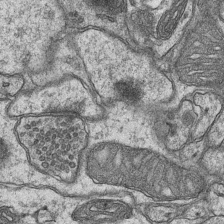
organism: Mouse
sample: CA1 Hippocampus